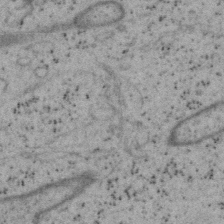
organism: Human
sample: HeLa cells